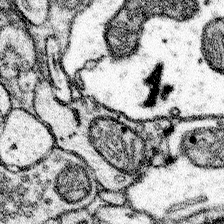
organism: Mouse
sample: Somatosensory cortex neuropil